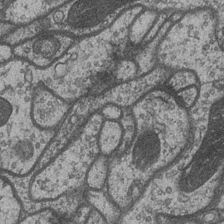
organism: Drosophila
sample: Optic medulla